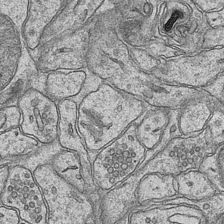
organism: Mouse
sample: CA1 Hippocampus